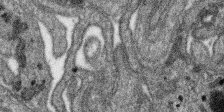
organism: Human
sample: Lung epithelial cells infected with SARS-CoV-2